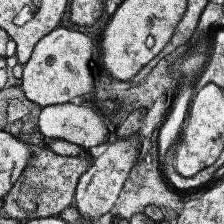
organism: Human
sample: Temporal Lobe